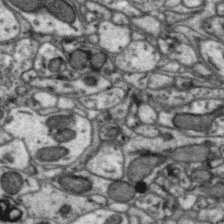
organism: Zebra finch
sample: Brain